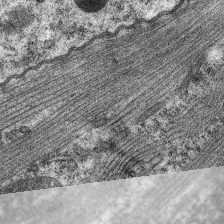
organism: C. elegans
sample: Pharynx